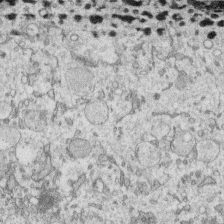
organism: Human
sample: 1205lu cells